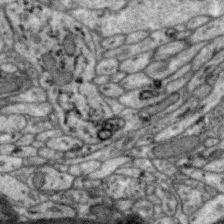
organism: Zebra finch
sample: Brain